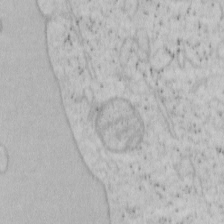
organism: Human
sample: HeLa cells